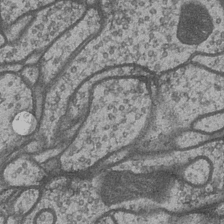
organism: Drosophila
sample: Optic medulla